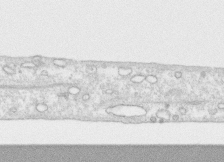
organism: Human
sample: CRL-1474